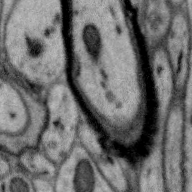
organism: Zebra finch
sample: Brain